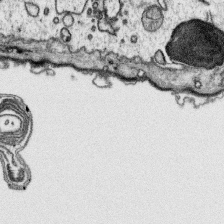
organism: Platynereis dumerilii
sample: Parapodia